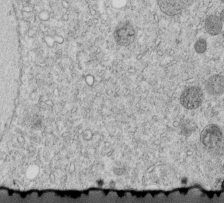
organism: C. elegans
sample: C. elegans embryo early stage